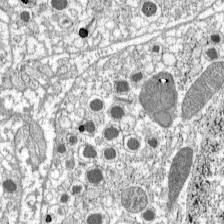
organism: C57BL Mouse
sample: Pancreatic islet